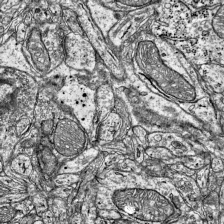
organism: Mouse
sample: Visual Cortex